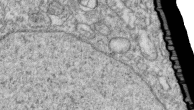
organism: Human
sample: HeLa cell HIV synapse